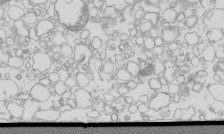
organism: Mouse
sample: Macrophages